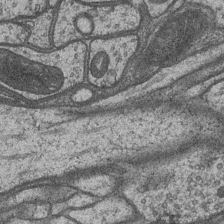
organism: Drosophila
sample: Optic medulla